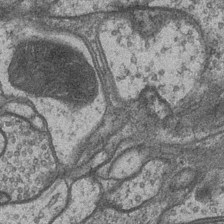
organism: Drosophila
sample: Optic medulla